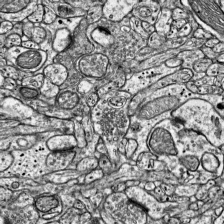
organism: Mouse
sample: Visual Cortex